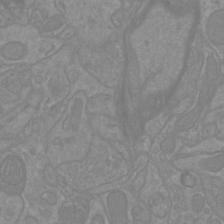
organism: Mouse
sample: Cortical neurons